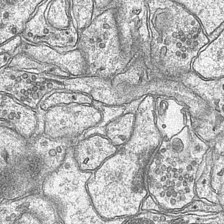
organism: Mouse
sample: CA1 Hippocampus